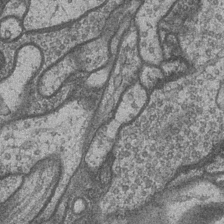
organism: Drosophila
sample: Optic medulla